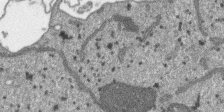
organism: Human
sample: Lung epithelial cells infected with SARS-CoV-2